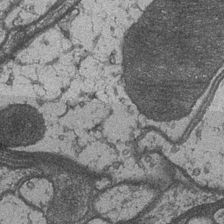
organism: Drosophila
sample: Optic medulla